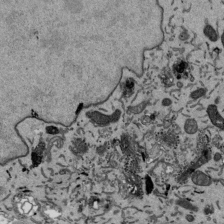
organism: Mouse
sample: ED-1 cell nuclei; centrioles